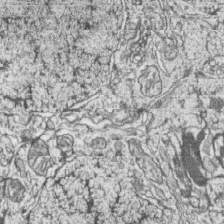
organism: Zebrafish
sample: synaptic ribbons in rod cells and cone cells